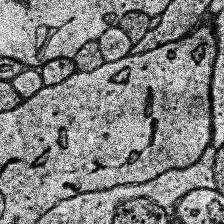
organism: Human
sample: Temporal Lobe